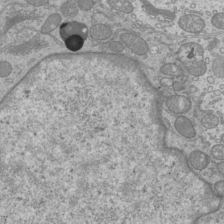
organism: Mouse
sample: Cilia; mouse epididymis